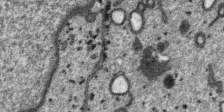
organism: Human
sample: Lung epithelial cells infected with SARS-CoV-2